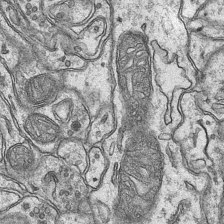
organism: Mouse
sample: CA1 Hippocampus